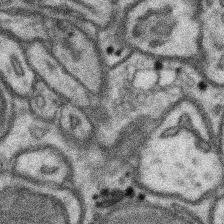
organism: Mouse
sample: Somatosensory cortex neuropil